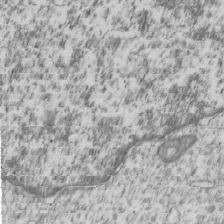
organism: Human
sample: MDA-MB-231 cells